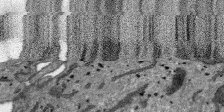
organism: Human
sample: Lung epithelial cells, uninfected (mock) control